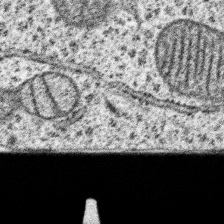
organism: Human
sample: HeLa cells